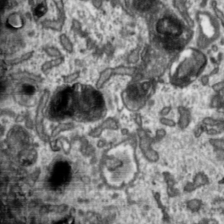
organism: Toxoplasma gondii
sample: Parasites in a vacuole inside a host cell